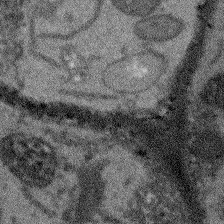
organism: Arabidopsis thaliana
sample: Root tip